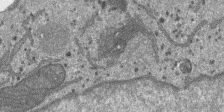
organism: Human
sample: Lung epithelial cells infected with SARS-CoV-2